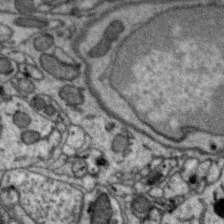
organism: Zebra finch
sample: Brain